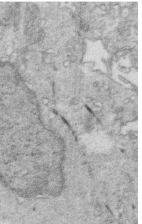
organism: Mouse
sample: Multiciliated cells